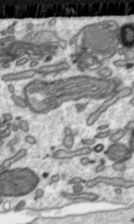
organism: Toxoplasma gondii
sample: Parasites in a vacuole inside a host cell